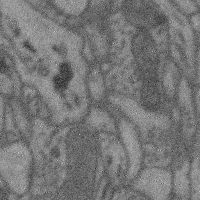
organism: Mouse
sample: Cerebral cortex